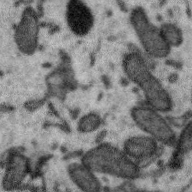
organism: Zebra finch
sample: Brain